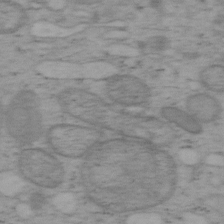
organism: Mouse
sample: OT-I killer T cells with ID8 ovarian cancer cells